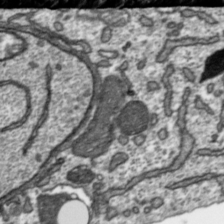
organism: Toxoplasma gondii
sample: Parasites in a vacuole inside a host cell